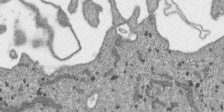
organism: Human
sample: Lung epithelial cells infected with SARS-CoV-2